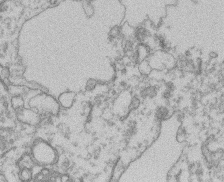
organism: Mouse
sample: T cell stromal cell synapse